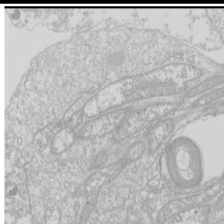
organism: Drosophila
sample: Cell division; meiosis; drosophila spermatocytes